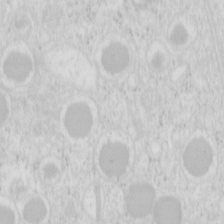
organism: Mouse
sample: Pancreas